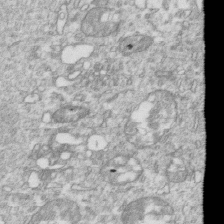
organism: Mouse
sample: Activated OT-1 CD8+ T cells